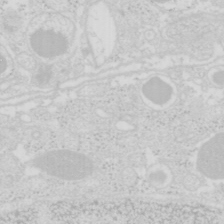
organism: Mouse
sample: Pancreas